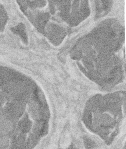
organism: Mouse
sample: T cell stromal cell synapse